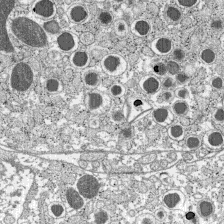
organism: C57BL Mouse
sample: Pancreatic islet